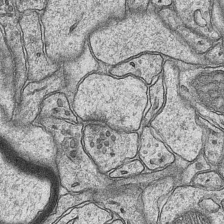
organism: Mouse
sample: CA1 Hippocampus